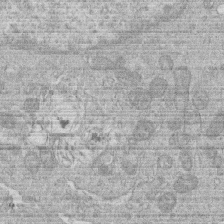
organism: Human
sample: Macrophage cells